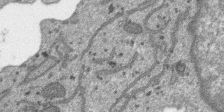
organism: Human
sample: Lung epithelial cells infected with SARS-CoV-2